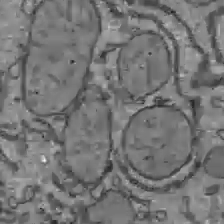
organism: C57BL Mouse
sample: Liver